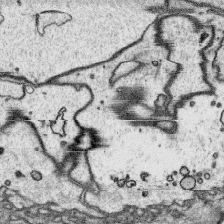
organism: Platynereis dumerilii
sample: Parapodia